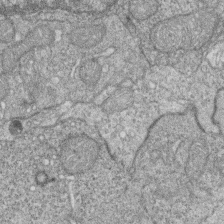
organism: Zebrafish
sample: Cilia; retinal pigment epithelium